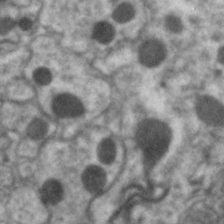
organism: C. elegans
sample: Pharynx